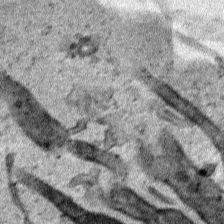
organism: Human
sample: Mitochondria in HCT116 cells